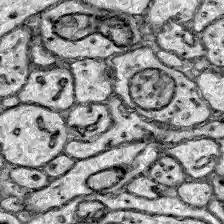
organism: Zebrafish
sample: Brain